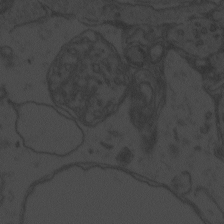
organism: Zebrafish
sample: Macrophage infected with Toxoplasma gondii